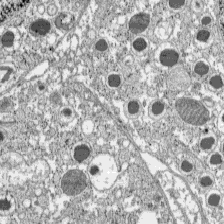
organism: C57BL Mouse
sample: Pancreatic islet